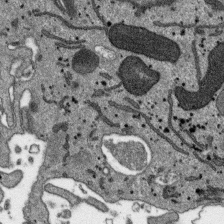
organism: Human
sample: Lung epithelial cells, uninfected (mock) control